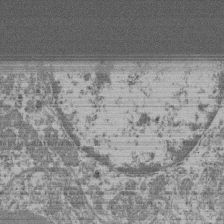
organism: Mouse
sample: Glomerulus